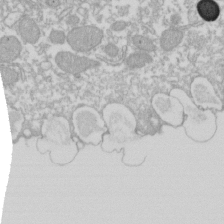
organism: Xenopus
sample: Cilia; centrioles in frog embryo cells